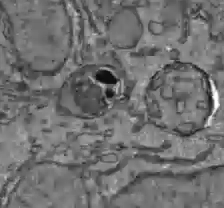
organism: C57BL Mouse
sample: Liver